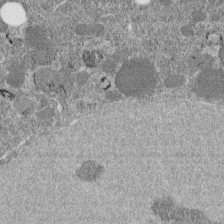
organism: C. elegans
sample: C. elegans embryo early stage